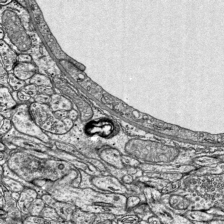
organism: Mouse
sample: Visual Cortex